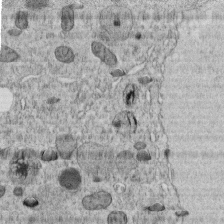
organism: C. elegans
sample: C. elegans embryo early stage